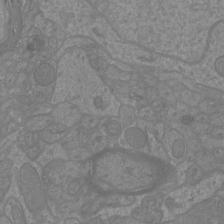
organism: Mouse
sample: Cortical neurons